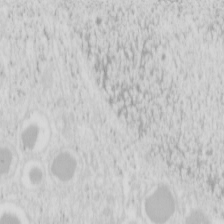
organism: Mouse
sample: Pancreas